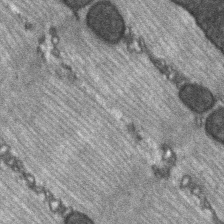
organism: C57BL Mouse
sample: Soleus